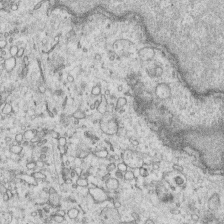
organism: Human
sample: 1205lu cells